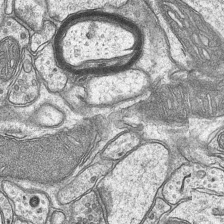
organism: Mouse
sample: CA1 Hippocampus